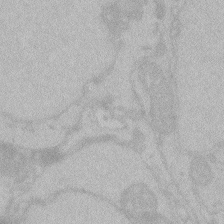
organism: Zebrafish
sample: Macrophage infected with Toxoplasma gondii